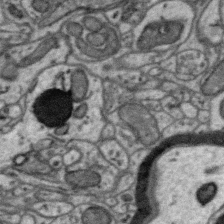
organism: Zebra finch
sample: Brain